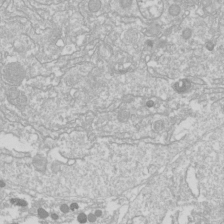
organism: Drosophila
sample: Cell division; meiosis; drosophila spermatocytes